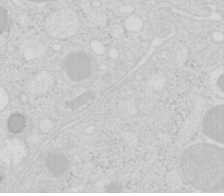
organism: Mouse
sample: Pancreas